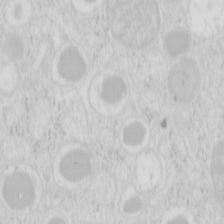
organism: Mouse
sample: Pancreas